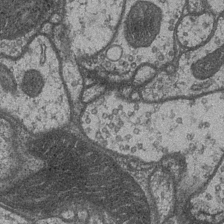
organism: Drosophila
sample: Optic medulla